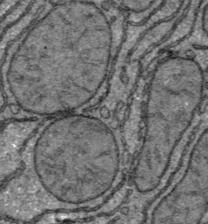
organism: C57BL Mouse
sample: Liver